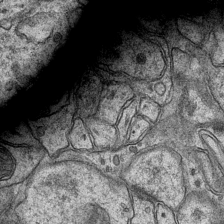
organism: Mouse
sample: CA1 Hippocampus